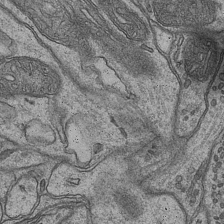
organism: Mouse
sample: CA1 Hippocampus